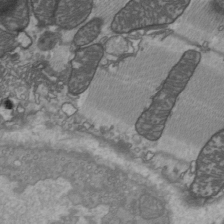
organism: C57BL Mouse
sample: Heart